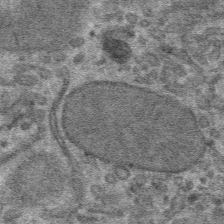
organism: Mouse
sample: Mouse hepatocytes